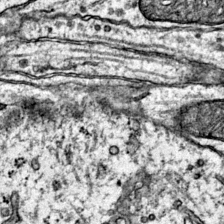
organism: Mouse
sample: Primary visual cortex